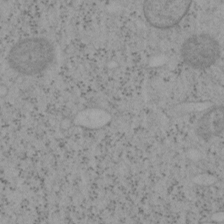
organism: Mouse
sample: OT-I killer T cells with ID8 ovarian cancer cells